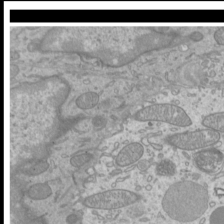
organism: Mouse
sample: Cilia; mouse epididymis